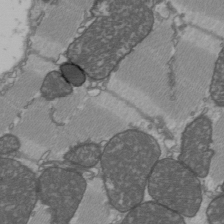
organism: C57BL Mouse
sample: Heart